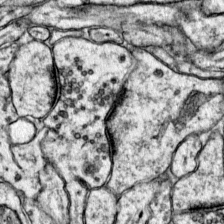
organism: Mouse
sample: Primary visual cortex